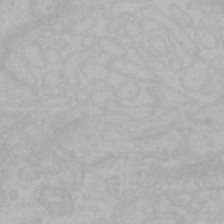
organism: Mouse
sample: Choroid plexus